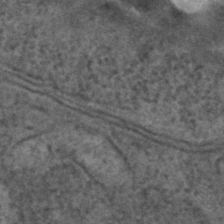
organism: C. elegans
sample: C. elegans embryo